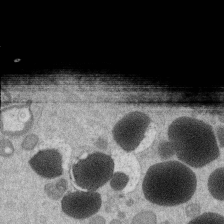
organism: Mouse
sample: Dividing mouse embryo 1 cell stage